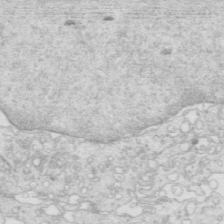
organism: Mouse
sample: Multiciliated cells